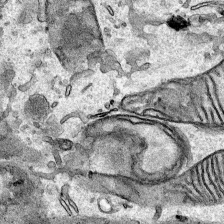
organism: Human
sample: Mitochondria in HCT116 cells